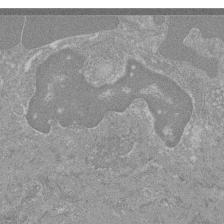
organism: Mouse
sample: Glomerulus